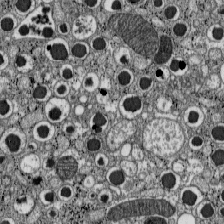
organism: C57BL Mouse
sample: Pancreatic islet